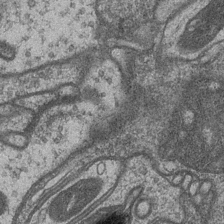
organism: Drosophila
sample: Optic medulla